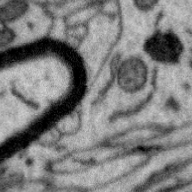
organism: Zebra finch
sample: Brain